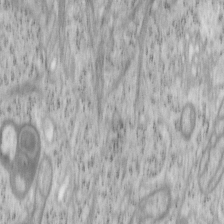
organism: Human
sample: HeLa cells